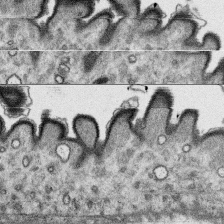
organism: Platynereis dumerilii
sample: Parapodia